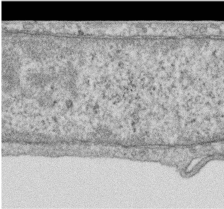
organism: Human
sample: Centriole in RPE cells